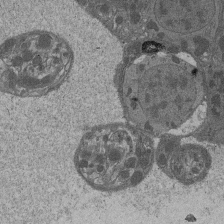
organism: Drosophila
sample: Antenna